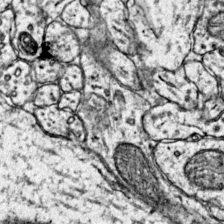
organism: Mouse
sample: Primary visual cortex